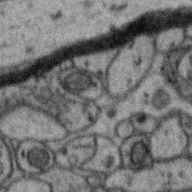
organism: Zebra finch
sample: Brain